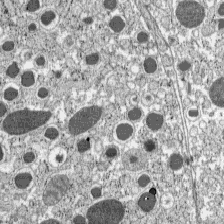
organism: C57BL Mouse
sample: Pancreatic islet